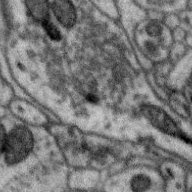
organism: Zebra finch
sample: Brain